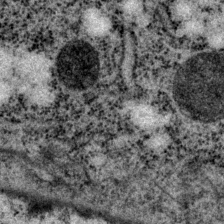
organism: P. pacificus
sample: Pharynx